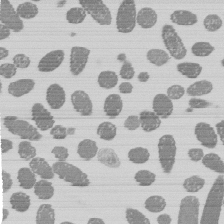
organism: E. coli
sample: Bacterial nucleoid